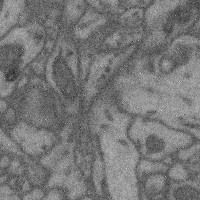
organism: Mouse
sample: Cerebral cortex